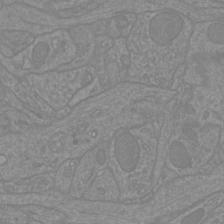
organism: Mouse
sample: Cortical neurons